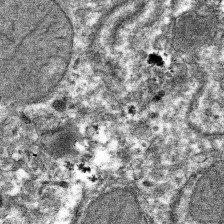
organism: Mouse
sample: Mouse hepatocytes